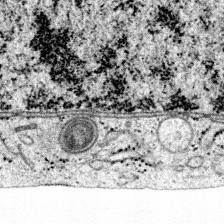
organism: Human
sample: HeLa cells